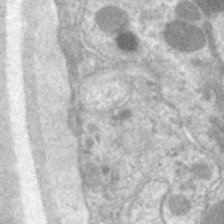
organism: C. elegans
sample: Pharynx